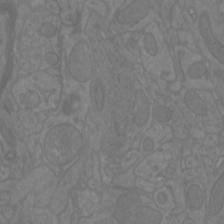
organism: Mouse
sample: Cortical neurons